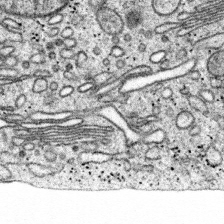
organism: Human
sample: HeLa cells